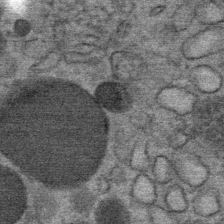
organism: Mouse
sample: Mouse Salivary gland